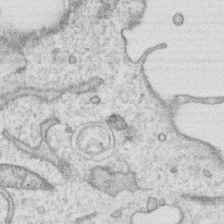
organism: Human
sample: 1205lu cells